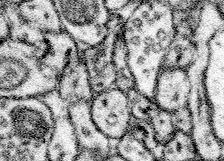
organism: Mouse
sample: Somatosensory cortex neuropil